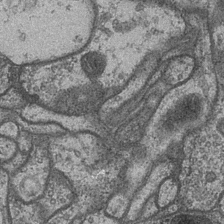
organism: Drosophila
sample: Optic medulla